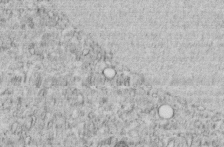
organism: C. elegans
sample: C. elegans embryo early stage